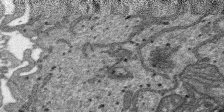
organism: Human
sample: Lung epithelial cells infected with SARS-CoV-2